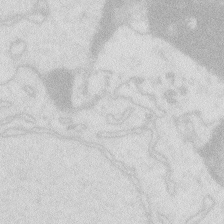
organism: Zebrafish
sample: Macrophage